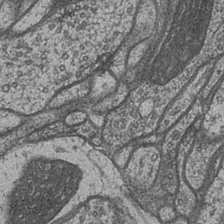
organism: Drosophila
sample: Optic medulla